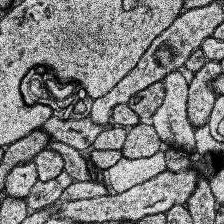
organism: Human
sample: Temporal Lobe